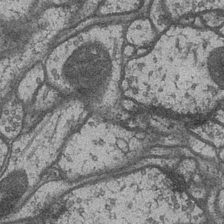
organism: Drosophila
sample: Optic medulla